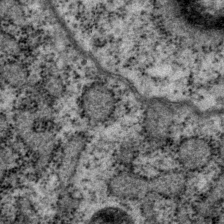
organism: P. pacificus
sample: Pharynx